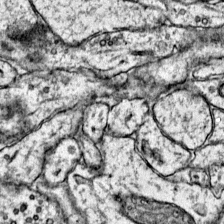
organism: Mouse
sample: Primary visual cortex